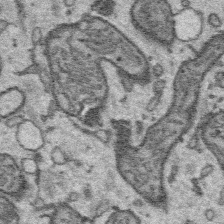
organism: Platynereis dumerilii